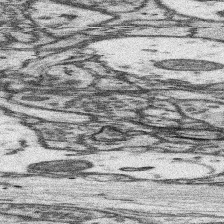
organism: Mouse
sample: Somatosensory cortex neuropil